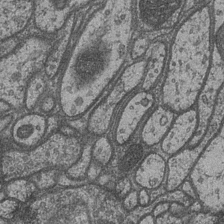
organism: Drosophila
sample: Optic medulla